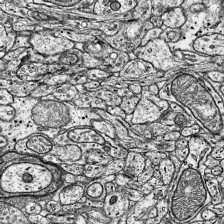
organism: Mouse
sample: Visual Cortex